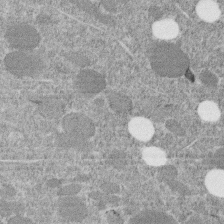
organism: C. elegans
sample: C. elegans embryo early stage